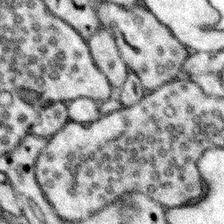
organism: Mouse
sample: Somatosensory cortex neuropil